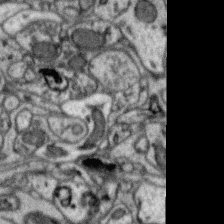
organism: Zebra finch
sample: Brain